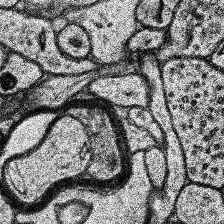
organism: Human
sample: Temporal Lobe